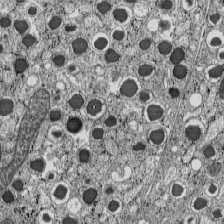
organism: C57BL Mouse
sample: Pancreatic islet